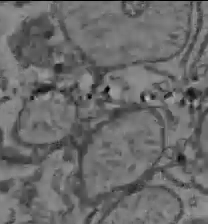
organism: C57BL Mouse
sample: Liver